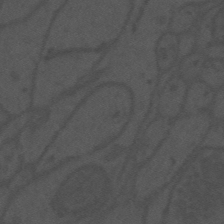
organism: Mouse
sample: Suprachiasmatic nucleus